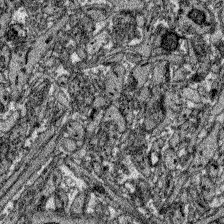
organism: Zebrafish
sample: Larval olfactory bulb